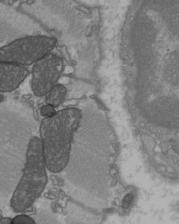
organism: C57BL Mouse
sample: Heart